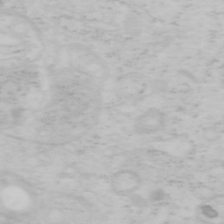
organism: Mouse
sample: OT-I killer T cells with ID8 ovarian cancer cells